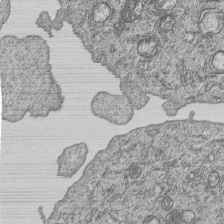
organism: Human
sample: MDA-MB-231 cells